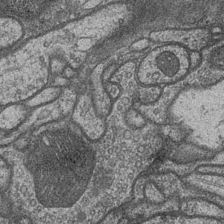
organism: Drosophila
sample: Optic medulla